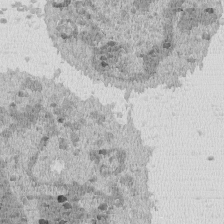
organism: Mouse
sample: Activated Pmel transgenic CD8+ T Cells